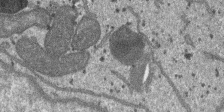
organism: Human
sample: Lung epithelial cells infected with SARS-CoV-2